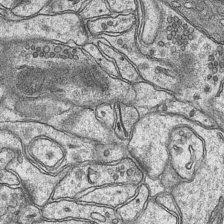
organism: Mouse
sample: CA1 Hippocampus